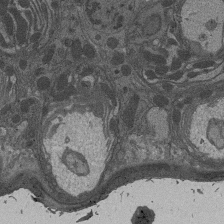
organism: Drosophila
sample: Antenna